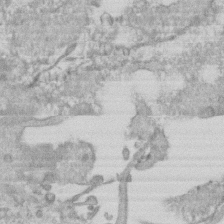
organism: Mouse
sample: Centriole in ependymal cells